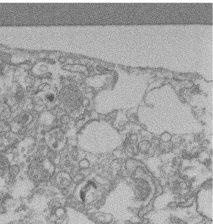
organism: Mouse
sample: T cell stromal cell synapse